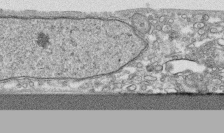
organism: Human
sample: CRL-1474